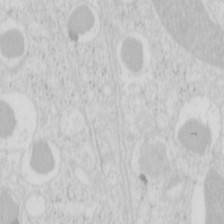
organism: Mouse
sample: Pancreas